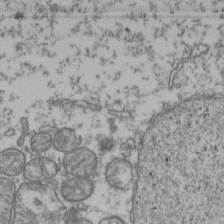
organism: Human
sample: Activated Jurkat CD4+ T cells